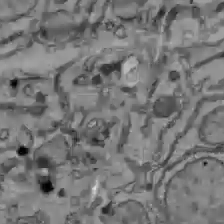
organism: C57BL Mouse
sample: Liver